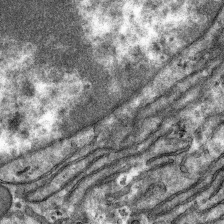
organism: Mouse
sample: Mouse hepatocytes